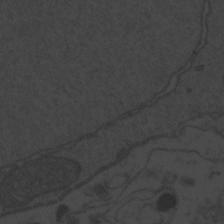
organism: Zebrafish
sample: Macrophage infected with Toxoplasma gondii